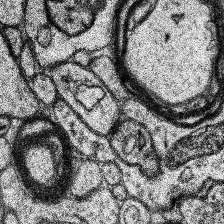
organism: Human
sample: Temporal Lobe